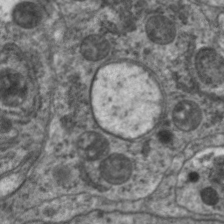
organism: C. elegans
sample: Pharynx